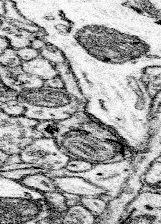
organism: Mouse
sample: Somatosensory cortex neuropil